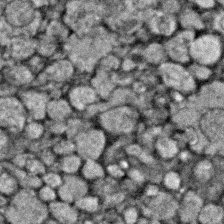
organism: Zebrafish